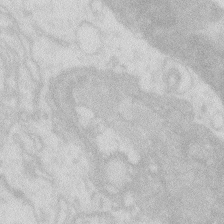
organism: Zebrafish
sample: Macrophage